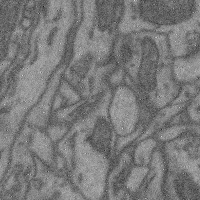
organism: Mouse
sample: Cerebral cortex